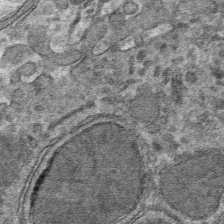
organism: Mouse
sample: Mouse hepatocytes